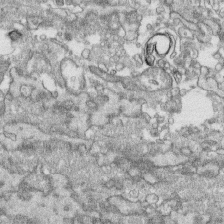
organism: Human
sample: CRL-1474